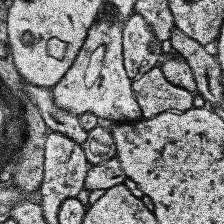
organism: Human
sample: Temporal Lobe